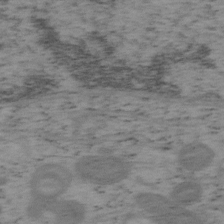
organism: Mouse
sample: OT-I killer T cells with ID8 ovarian cancer cells